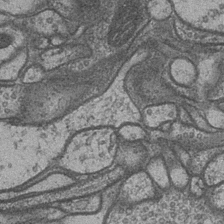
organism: Drosophila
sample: Optic medulla